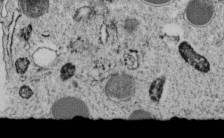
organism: C. elegans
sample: C. elegans embryo early stage